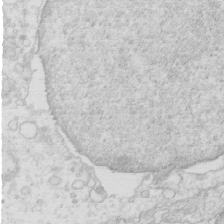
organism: Mouse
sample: Multiciliated cells